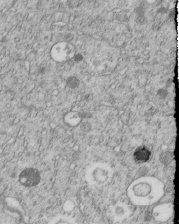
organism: C. elegans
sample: C. elegans embryo early stage